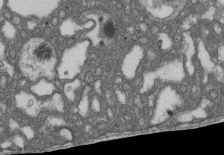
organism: Drosophila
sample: Nephrocyte